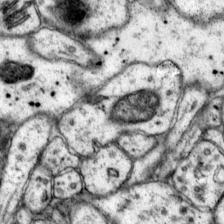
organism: Mouse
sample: Primary visual cortex